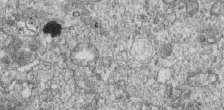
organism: Human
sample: HeLa cell HIV synapse